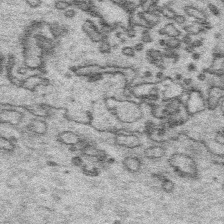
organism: Platynereis dumerilii